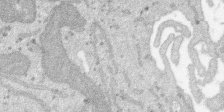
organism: Human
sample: Lung epithelial cells infected with SARS-CoV-2